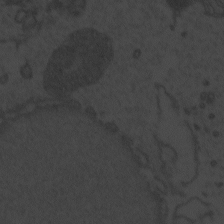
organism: Zebrafish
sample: Macrophage infected with Toxoplasma gondii